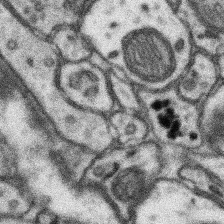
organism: Mouse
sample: Somatosensory cortex neuropil